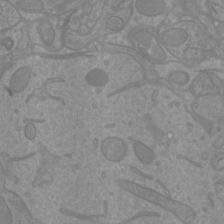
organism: Mouse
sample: Cortical neurons